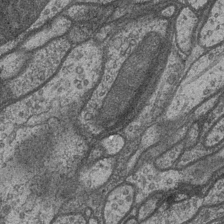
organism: Drosophila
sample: Optic medulla